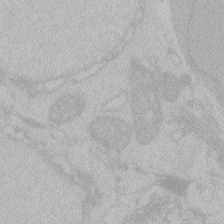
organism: Zebrafish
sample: Macrophage infected with Toxoplasma gondii